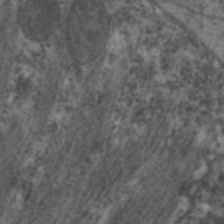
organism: C. elegans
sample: Pharynx